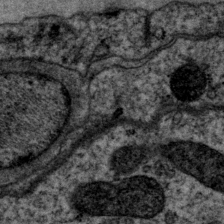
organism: P. pacificus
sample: Pharynx